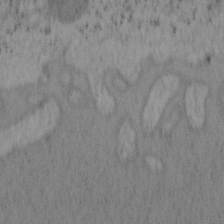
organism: Mouse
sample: OT-I killer T cells with ID8 ovarian cancer cells